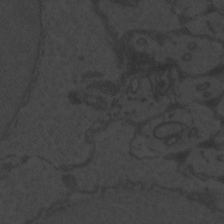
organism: Zebrafish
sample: Macrophage infected with Toxoplasma gondii